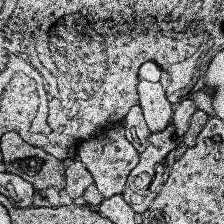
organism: Human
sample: Temporal Lobe